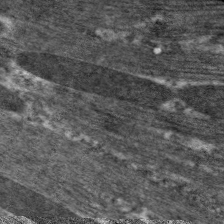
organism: C. elegans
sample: Pharynx